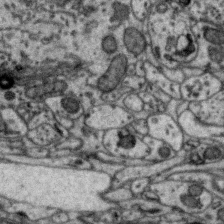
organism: Zebra finch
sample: Brain